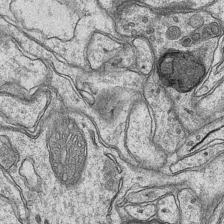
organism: Mouse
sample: CA1 Hippocampus